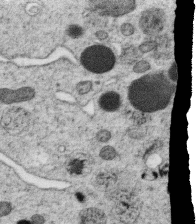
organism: C. elegans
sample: C. elegans oocyte; sperm cells